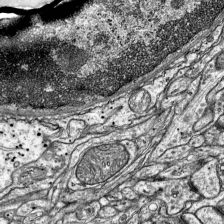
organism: Mouse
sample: Visual Cortex